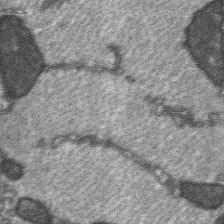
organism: C57BL Mouse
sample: Soleus